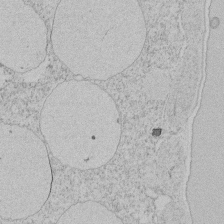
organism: Tetrahymena